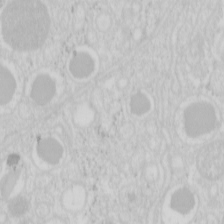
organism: Mouse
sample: Pancreas